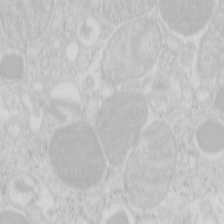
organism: Mouse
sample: Pancreas